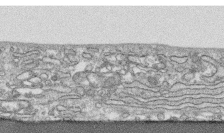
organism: Human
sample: CRL-1474